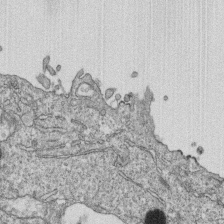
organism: Human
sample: HeLa cell HIV synapse